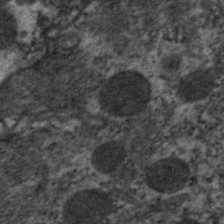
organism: C. elegans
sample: Pharynx